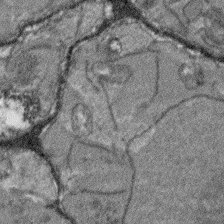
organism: Arabidopsis thaliana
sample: Root tip